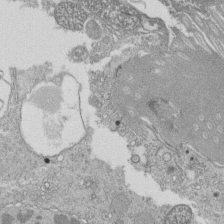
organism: Tetrahymena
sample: Cilia in tetrahymena